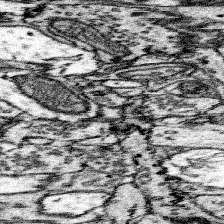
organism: Mouse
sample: Somatosensory cortex neuropil